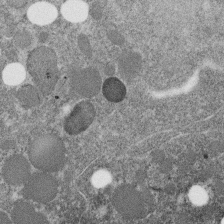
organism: C. elegans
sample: C. elegans embryo early stage